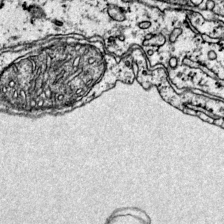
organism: Mouse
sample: Primary visual cortex